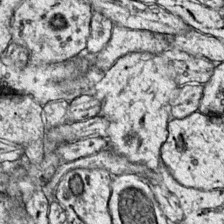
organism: Mouse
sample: Primary visual cortex